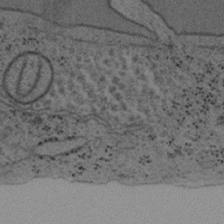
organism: Human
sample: HeLa cells